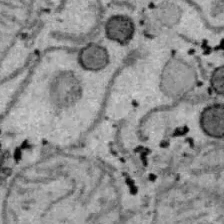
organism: Mouse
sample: Liver from an obese (ob/ob) mouse